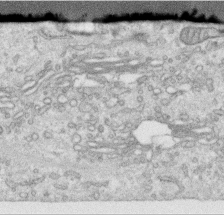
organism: Human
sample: Centriole in RPE cells